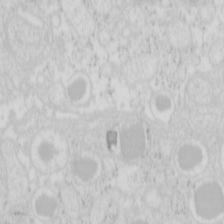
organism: Mouse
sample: Pancreas